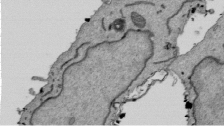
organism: Mouse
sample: ED-1 cell nuclei; centrioles